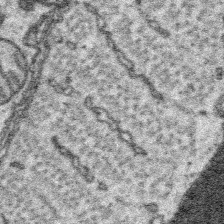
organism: Platynereis dumerilii